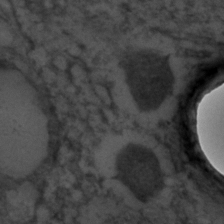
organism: C. elegans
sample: C. elegans embryo